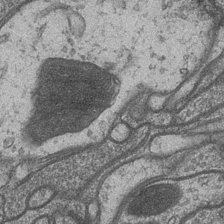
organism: Drosophila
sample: Optic medulla